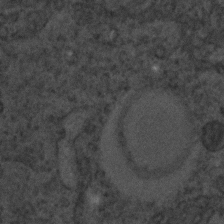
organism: C. elegans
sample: C. elegans embryo